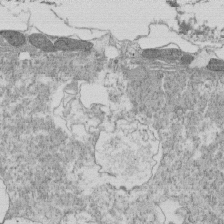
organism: Tetrahymena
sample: Cilia in tetrahymena